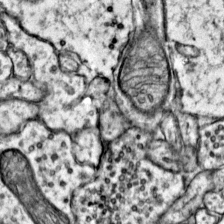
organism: Mouse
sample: Primary visual cortex